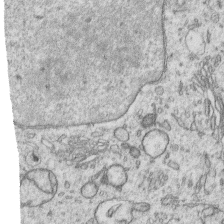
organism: Human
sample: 1205lu cells